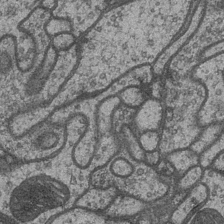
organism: Drosophila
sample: Optic medulla